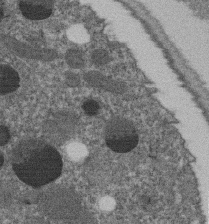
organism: C. elegans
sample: C. elegans embryo early stage